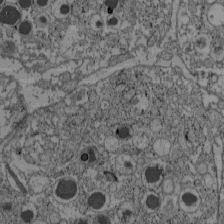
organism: C57BL Mouse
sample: Pancreatic islet